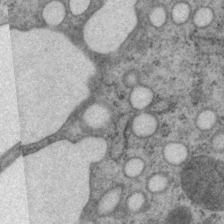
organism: P. pacificus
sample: Pharynx